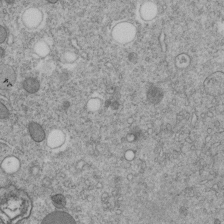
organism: C. elegans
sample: C. elegans embryo early stage